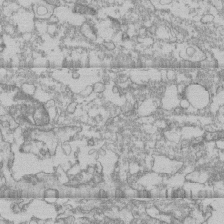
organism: Human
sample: CRL-1474